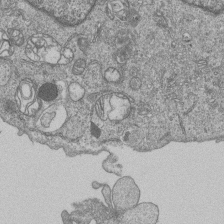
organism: Human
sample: MDA-MB-231 cells